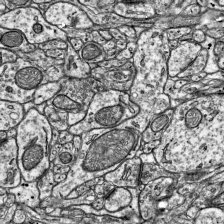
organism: Mouse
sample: Visual Cortex